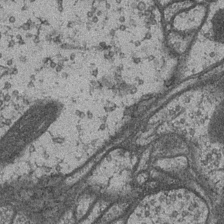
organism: Drosophila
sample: Optic medulla